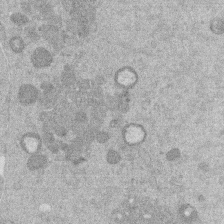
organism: Mouse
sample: Dividing mouse embryo 1 cell stage